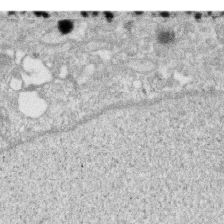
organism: Human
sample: HeLa cell HIV synapse